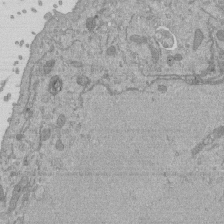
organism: Mouse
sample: ED-1 cell nuclei; centrioles